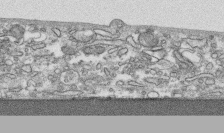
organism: Human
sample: CRL-1474